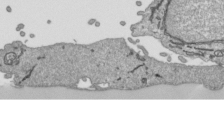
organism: Human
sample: Mitochondria in HCT116 cells